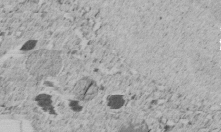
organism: C. elegans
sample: C. elegans embryo early stage